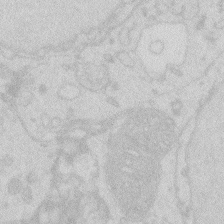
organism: Zebrafish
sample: Macrophage